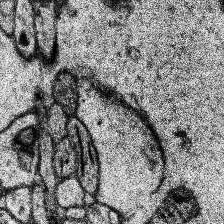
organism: Human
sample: Temporal Lobe